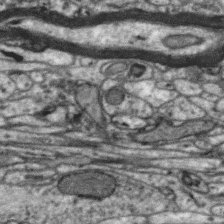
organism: Zebra finch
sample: Brain